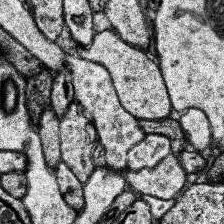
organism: Human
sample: Temporal Lobe